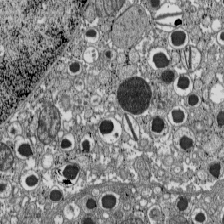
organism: C57BL Mouse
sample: Pancreatic islet